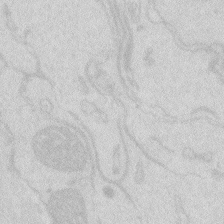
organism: Zebrafish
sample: Macrophage